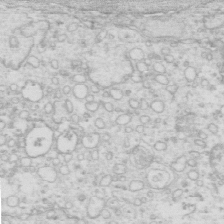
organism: Mouse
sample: Multiciliated cells